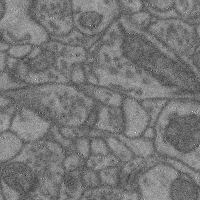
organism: Mouse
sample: Cerebral cortex